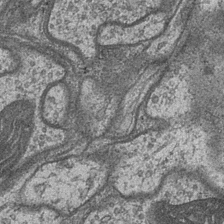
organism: Drosophila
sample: Optic medulla